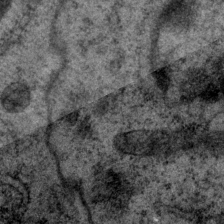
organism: P. pacificus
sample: Pharynx